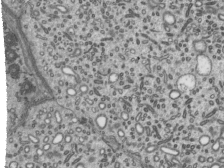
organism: Mouse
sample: Mouse epididymis efferent ductule cilia